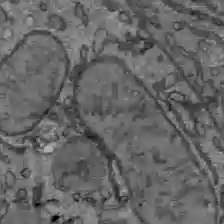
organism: C57BL Mouse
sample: Liver